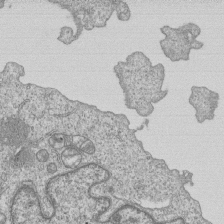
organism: Human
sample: MDA-MB-231 cells